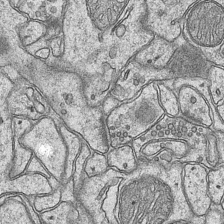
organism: Mouse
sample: CA1 Hippocampus